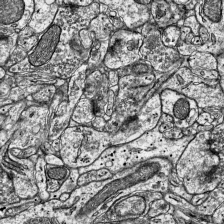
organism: Mouse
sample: Visual Cortex